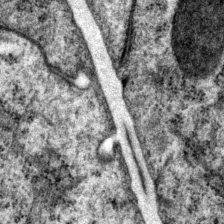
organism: P. pacificus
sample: Pharynx